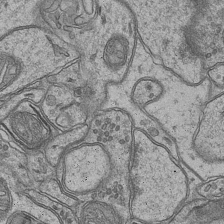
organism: Mouse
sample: CA1 Hippocampus